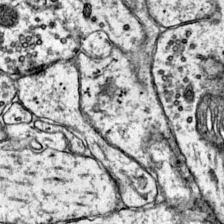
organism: Mouse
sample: Primary visual cortex